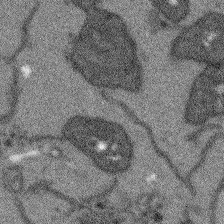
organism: Arabidopsis thaliana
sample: Root tip